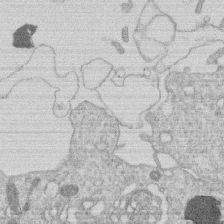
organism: Human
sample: Macrophage cells